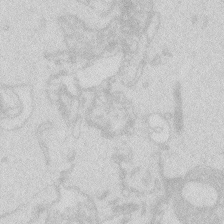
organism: Zebrafish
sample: Macrophage